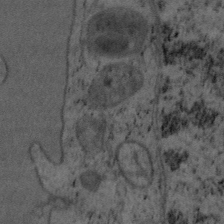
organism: Human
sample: HeLa cells